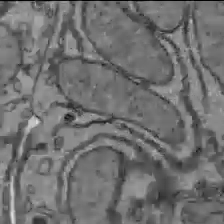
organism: C57BL Mouse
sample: Liver